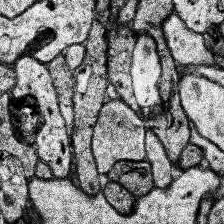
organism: Human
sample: Temporal Lobe